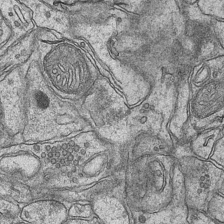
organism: Mouse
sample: CA1 Hippocampus